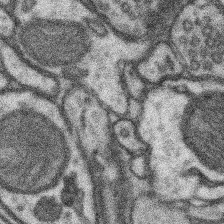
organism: Mouse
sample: Somatosensory cortex neuropil